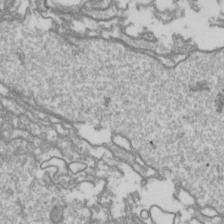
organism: Drosophila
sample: Cell division; meiosis; drosophila spermatocytes